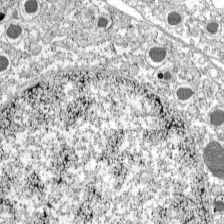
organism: C57BL Mouse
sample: Pancreatic islet